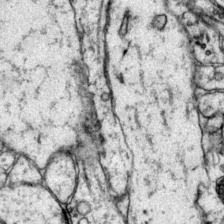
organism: Mouse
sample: Primary visual cortex